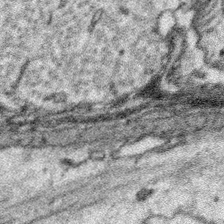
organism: Platynereis dumerilii